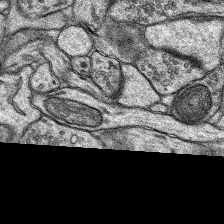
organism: Rat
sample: Hippocampus